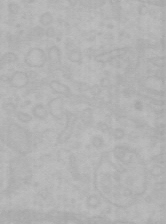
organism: Mouse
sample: Choroid plexus